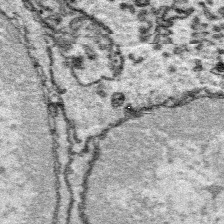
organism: Platynereis dumerilii